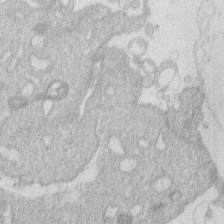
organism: Human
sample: Macrophage cells